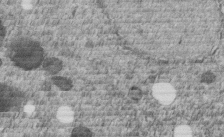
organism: C. elegans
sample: C. elegans embryo early stage